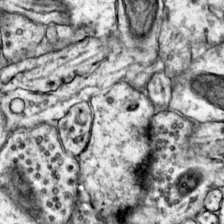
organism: Mouse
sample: Primary visual cortex